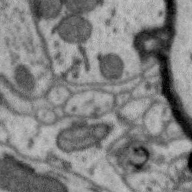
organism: Zebra finch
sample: Brain